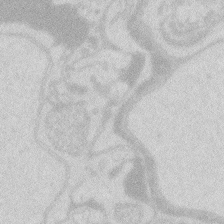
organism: Zebrafish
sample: Macrophage